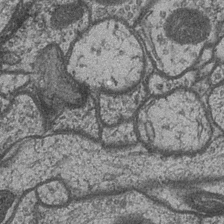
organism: Drosophila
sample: Optic medulla